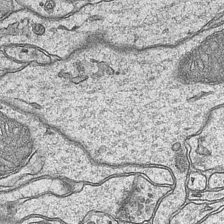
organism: Mouse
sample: CA1 Hippocampus